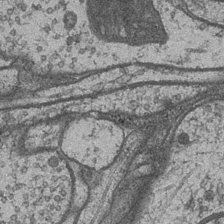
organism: Drosophila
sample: Optic medulla